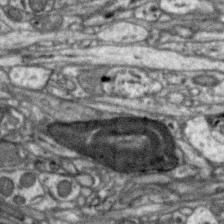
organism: Zebra finch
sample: Brain